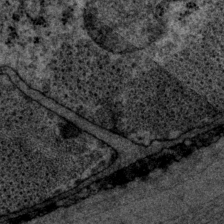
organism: P. pacificus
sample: Pharynx